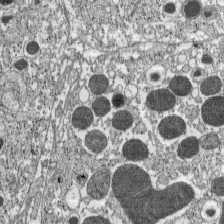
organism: C57BL Mouse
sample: Pancreatic islet